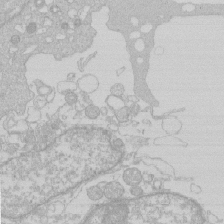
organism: Human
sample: Macrophage cells